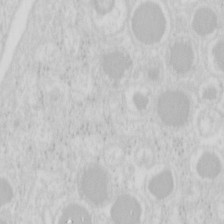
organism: Mouse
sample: Pancreas